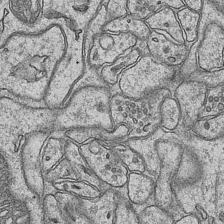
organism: Mouse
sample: CA1 Hippocampus